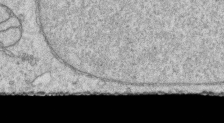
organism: Human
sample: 1205lu cells